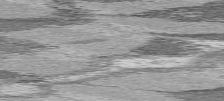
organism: C57BL Mouse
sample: Heart